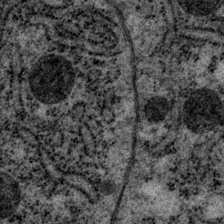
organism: P. pacificus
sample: Pharynx